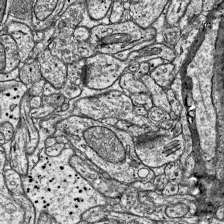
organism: Mouse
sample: Visual Cortex